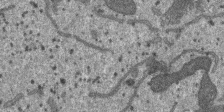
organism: Human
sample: Lung epithelial cells infected with SARS-CoV-2